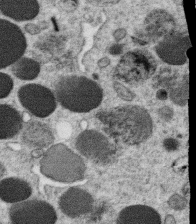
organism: C. elegans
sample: C. elegans oocyte; sperm cells